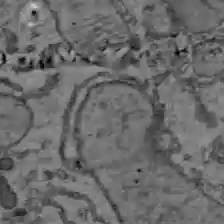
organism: C57BL Mouse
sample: Liver